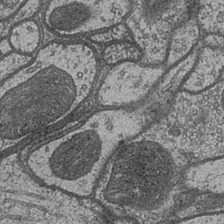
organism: Drosophila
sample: Optic medulla